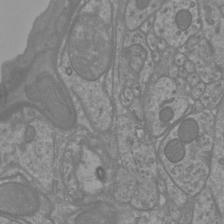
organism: Mouse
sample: Cortical neurons